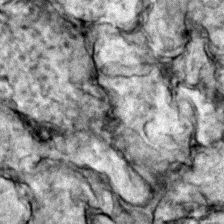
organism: Zebrafish